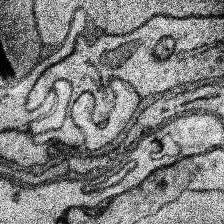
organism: Human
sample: Temporal Lobe